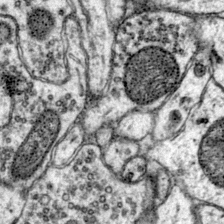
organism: Mouse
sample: Primary visual cortex